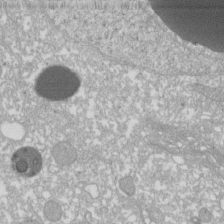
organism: Xenopus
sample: Cilia; centrioles in frog embryo cells